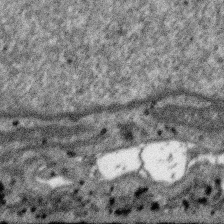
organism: Human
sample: Lung epithelial cells infected with SARS-CoV-2